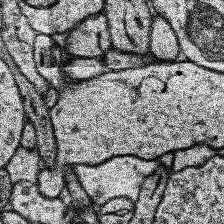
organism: Human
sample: Temporal Lobe